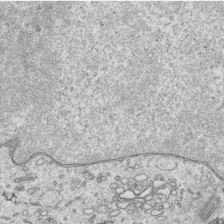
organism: Human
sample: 1205lu cells